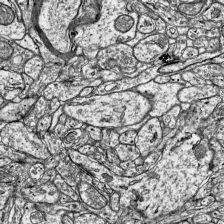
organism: Mouse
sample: Visual Cortex